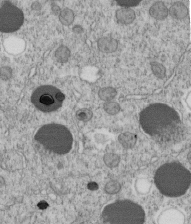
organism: C. elegans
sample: C. elegans embryo early stage